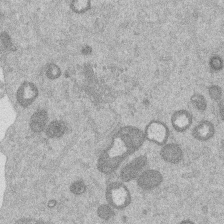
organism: Mouse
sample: Dividing mouse embryo 1 cell stage